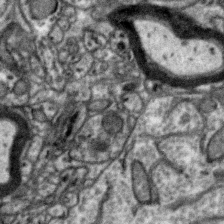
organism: Zebra finch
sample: Brain